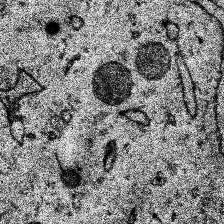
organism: Human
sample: Temporal Lobe